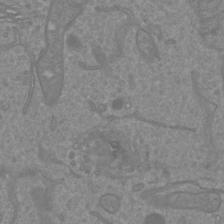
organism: Mouse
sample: Cortical neurons